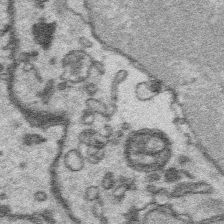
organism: Platynereis dumerilii